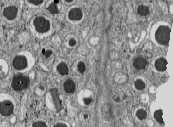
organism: C57BL Mouse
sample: Pancreatic islet